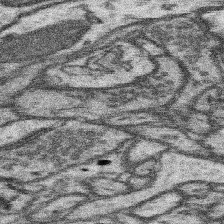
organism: Mouse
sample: Somatosensory cortex neuropil